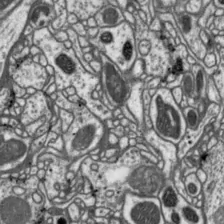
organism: Drosophila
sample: Protocerebral bridge